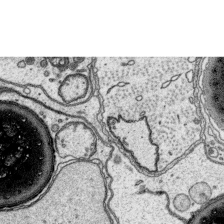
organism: Platynereis dumerilii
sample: Parapodia